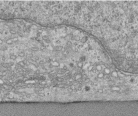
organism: Human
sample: Centriole in RPE cells